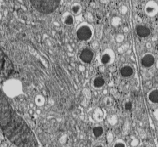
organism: C57BL Mouse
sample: Pancreatic islet